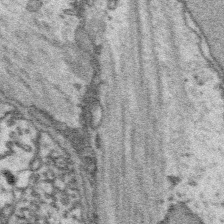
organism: Platynereis dumerilii